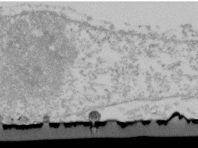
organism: Human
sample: U2-OS cells